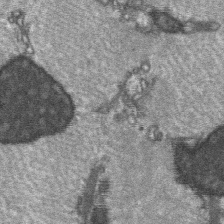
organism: C57BL Mouse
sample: Soleus